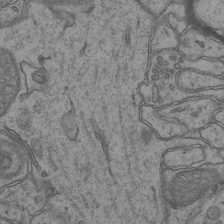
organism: Mouse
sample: CA1 Hippocampus